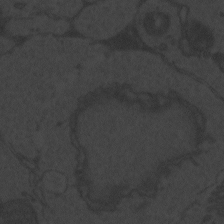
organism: Zebrafish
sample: Macrophage infected with Toxoplasma gondii